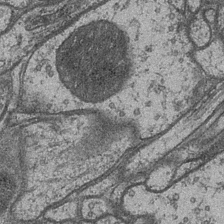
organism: Drosophila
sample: Optic medulla